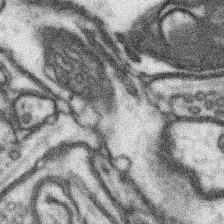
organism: Mouse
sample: Somatosensory cortex neuropil